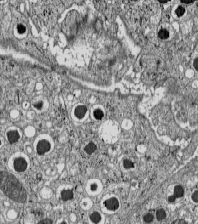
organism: C57BL Mouse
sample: Pancreatic islet